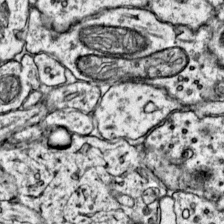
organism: Mouse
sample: Primary visual cortex